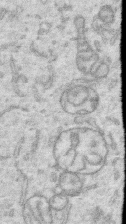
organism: Human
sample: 1205lu cells